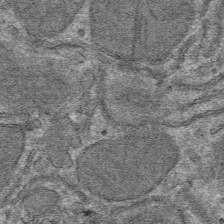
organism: Mouse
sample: Mouse hepatocytes